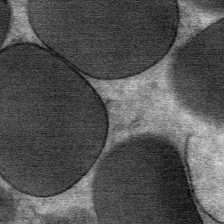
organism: Mouse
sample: Mouse Salivary gland